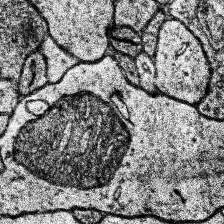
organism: Human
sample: Temporal Lobe